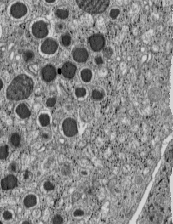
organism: C57BL Mouse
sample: Pancreatic islet